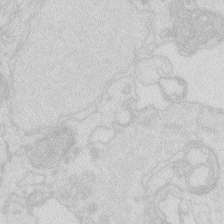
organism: Zebrafish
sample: Macrophage